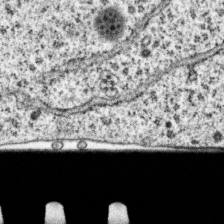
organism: Human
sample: HeLa cells